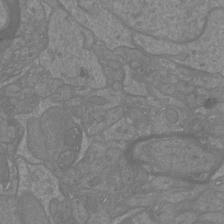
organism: Mouse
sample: Cortical neurons